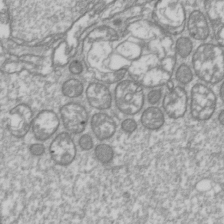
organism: Drosophila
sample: Cell division; meiosis; drosophila spermatocytes